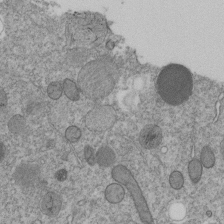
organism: C. elegans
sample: C. elegans embryo early stage